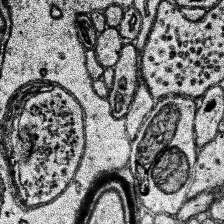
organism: Human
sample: Temporal Lobe